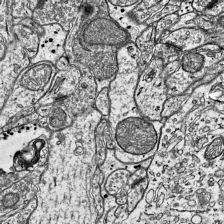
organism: Mouse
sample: Visual Cortex